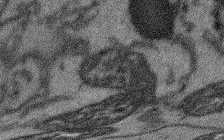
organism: Arabidopsis thaliana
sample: Root tip